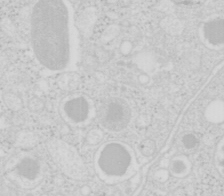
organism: Mouse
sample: Pancreas